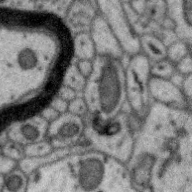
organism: Zebra finch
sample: Brain